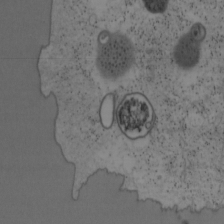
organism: Mouse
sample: OT-I killer T cells with ID8 ovarian cancer cells